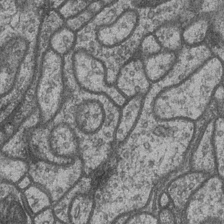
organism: Drosophila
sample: Optic medulla